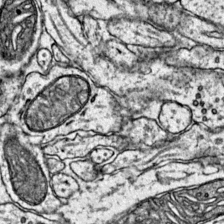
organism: Mouse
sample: Primary visual cortex